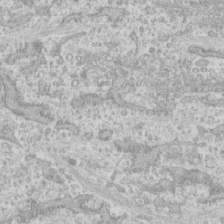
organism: Human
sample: CRL-1474